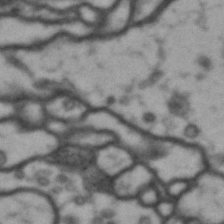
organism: Drosophila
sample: Brain